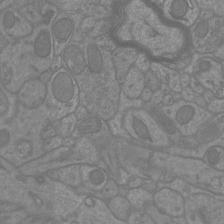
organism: Mouse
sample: Cortical neurons